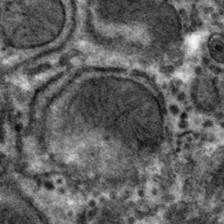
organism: Mouse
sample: Mouse hepatocytes